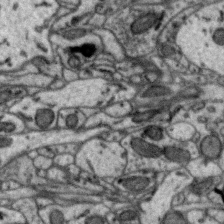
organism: Zebra finch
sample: Brain